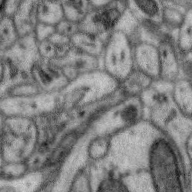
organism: Zebra finch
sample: Brain